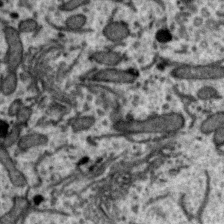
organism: Zebra finch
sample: Brain